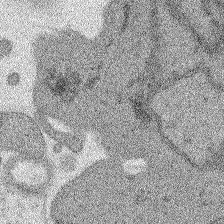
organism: Human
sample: HeLa cells